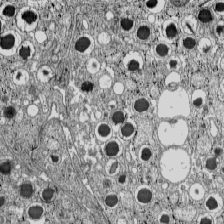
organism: C57BL Mouse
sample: Pancreatic islet